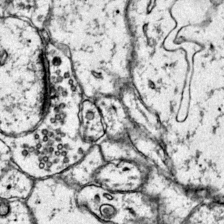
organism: Mouse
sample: Primary visual cortex